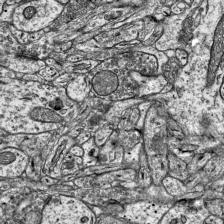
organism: Mouse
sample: Visual Cortex